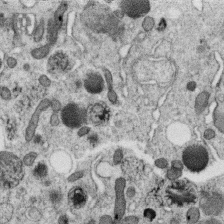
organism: C. elegans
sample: C. elegans oocyte; sperm cells